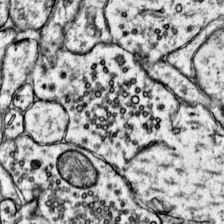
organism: Mouse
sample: Primary visual cortex